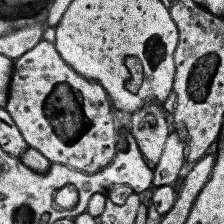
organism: Human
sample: Temporal Lobe